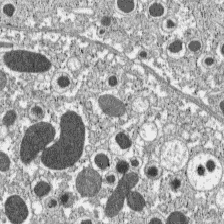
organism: C57BL Mouse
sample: Pancreatic islet